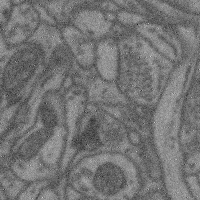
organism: Mouse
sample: Cerebral cortex